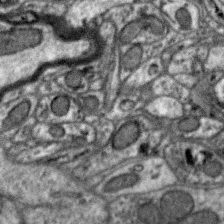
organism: Zebra finch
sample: Brain